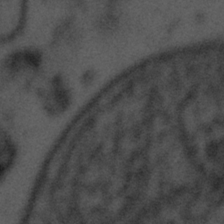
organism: Tuwongella immobilis